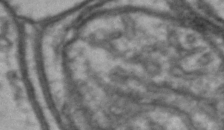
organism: Drosophila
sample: Brain